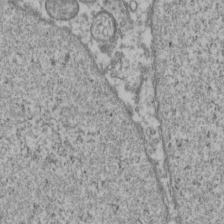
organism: Human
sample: Activated Jurkat CD4+ T cells